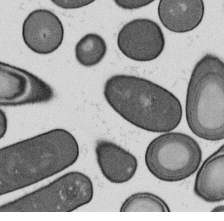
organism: B. subtilis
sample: Bacterial spore